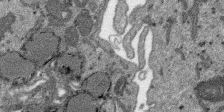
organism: Human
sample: Lung epithelial cells infected with SARS-CoV-2